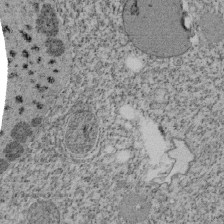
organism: Tetrahymena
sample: Cilia in tetrahymena